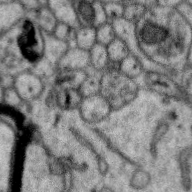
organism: Zebra finch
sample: Brain